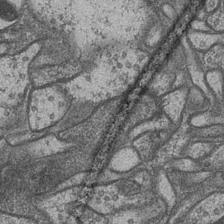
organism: Drosophila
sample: Optic medulla